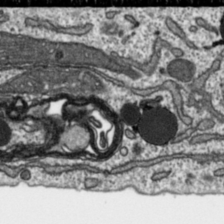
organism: Toxoplasma gondii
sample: Parasites in a vacuole inside a host cell